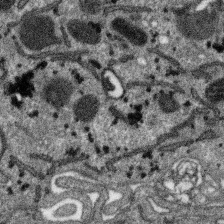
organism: Human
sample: Lung epithelial cells infected with SARS-CoV-2